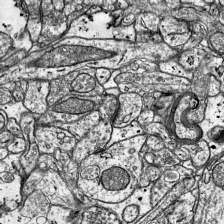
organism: Mouse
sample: Visual Cortex